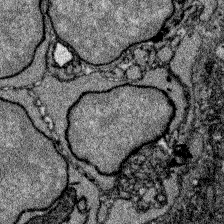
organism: Zebrafish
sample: Larval olfactory bulb